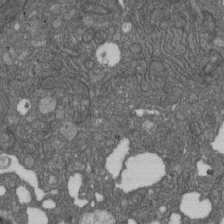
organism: Drosophila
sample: Nephrocyte